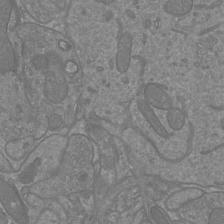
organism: Mouse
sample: Cortical neurons